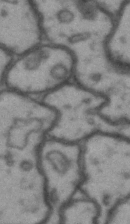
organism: Drosophila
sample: Brain